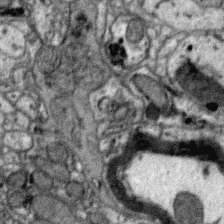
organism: Zebra finch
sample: Brain